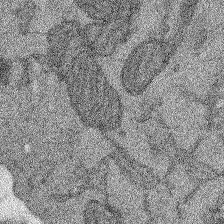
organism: Human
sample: HeLa cells